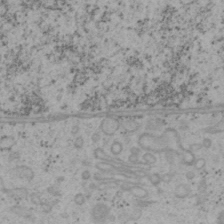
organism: Human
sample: HeLa cells